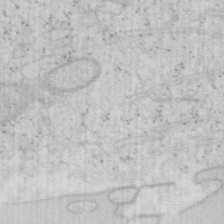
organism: Human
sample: HeLa cells